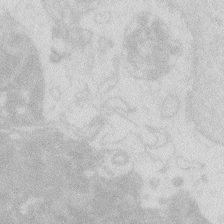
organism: Zebrafish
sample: Macrophage